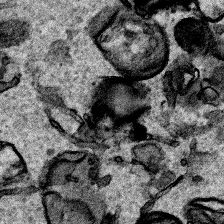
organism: Human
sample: Mitochondria in HCT116 cells